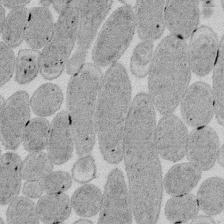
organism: E. coli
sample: Bacterial nucleoid